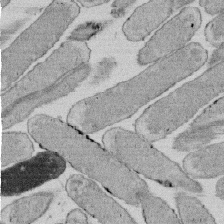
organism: E. coli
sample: Bacterial nucleoid